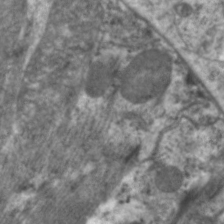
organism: C. elegans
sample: Pharynx